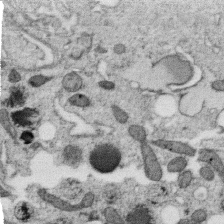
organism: C. elegans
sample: C. elegans oocyte; sperm cells